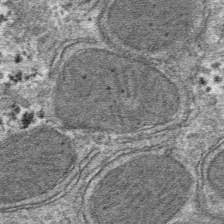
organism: Mouse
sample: Mouse hepatocytes